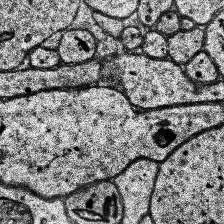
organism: Human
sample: Temporal Lobe